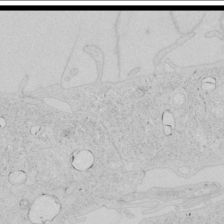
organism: Human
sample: Mitochondria in HCT116 cells